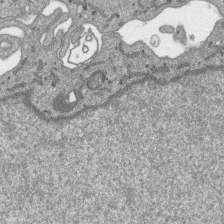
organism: Human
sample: Lung epithelial cells infected with SARS-CoV-2